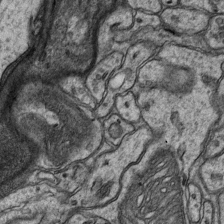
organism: Mouse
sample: CA1 Hippocampus